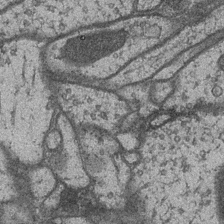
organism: Drosophila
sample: Optic medulla